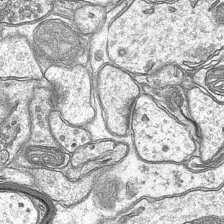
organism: Mouse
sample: CA1 Hippocampus